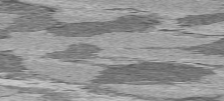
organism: C57BL Mouse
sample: Heart